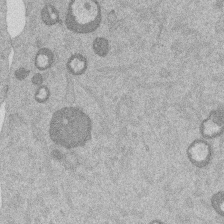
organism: Mouse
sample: Dividing mouse embryo 1 cell stage